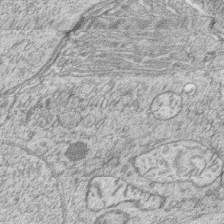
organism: Zebrafish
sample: synaptic ribbons in rod cells and cone cells